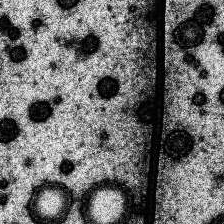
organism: Human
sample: Temporal Lobe